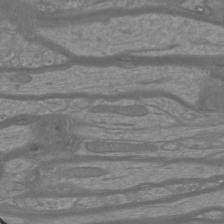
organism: Mouse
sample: Cortical neurons